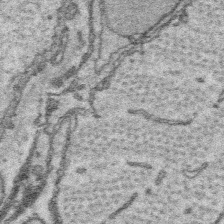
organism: Platynereis dumerilii